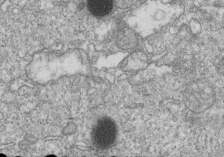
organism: Human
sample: HeLa cell HIV synapse